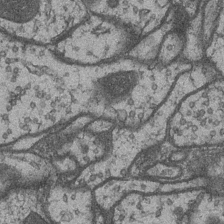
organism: Drosophila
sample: Optic medulla